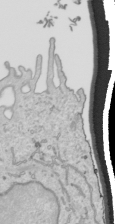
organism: Human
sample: Mitochondria in HCT116 cells